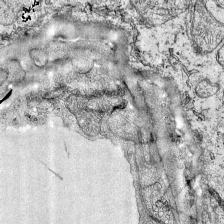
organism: Mouse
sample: Visual Cortex